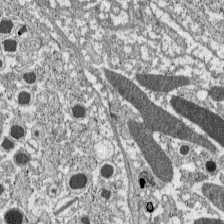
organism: C57BL Mouse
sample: Pancreatic islet